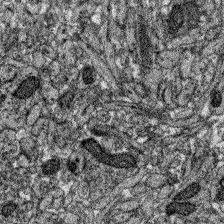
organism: Zebrafish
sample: Larval olfactory bulb